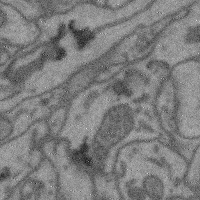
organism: Mouse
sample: Cerebral cortex